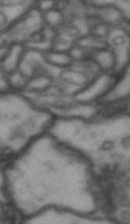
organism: Drosophila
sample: Brain